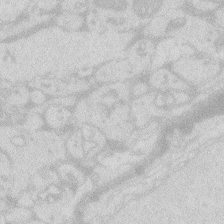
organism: Zebrafish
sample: Macrophage